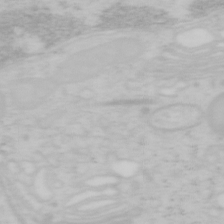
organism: Mouse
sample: OT-I killer T cells with ID8 ovarian cancer cells